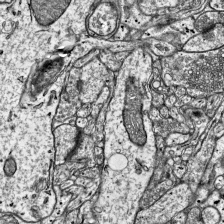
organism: Mouse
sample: Visual Cortex